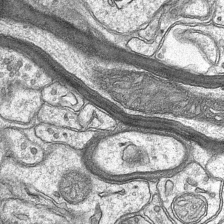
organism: Mouse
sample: CA1 Hippocampus